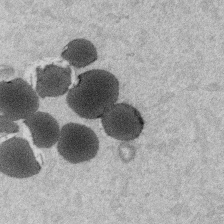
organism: Mouse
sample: Dividing mouse embryo 1 cell stage